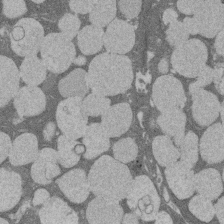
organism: Rat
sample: Salivary granule